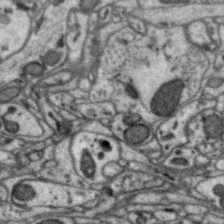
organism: Zebra finch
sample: Brain